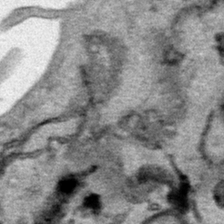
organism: Human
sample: Mitochondria in HCT116 cells